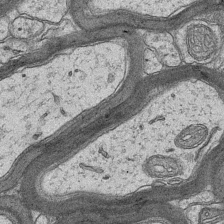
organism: Mouse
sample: CA1 Hippocampus